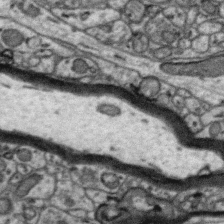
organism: Zebra finch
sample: Brain